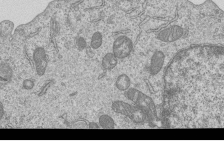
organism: Human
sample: MDA-MB-231 cells